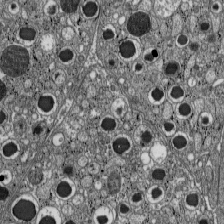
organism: C57BL Mouse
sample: Pancreatic islet